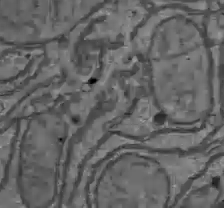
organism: C57BL Mouse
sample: Liver